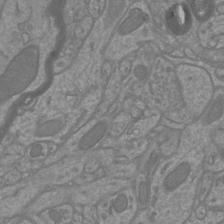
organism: Mouse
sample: Cortical neurons